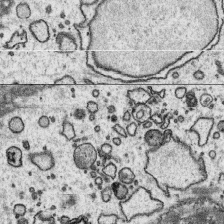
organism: Platynereis dumerilii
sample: Parapodia